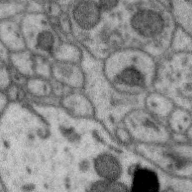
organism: Zebra finch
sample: Brain